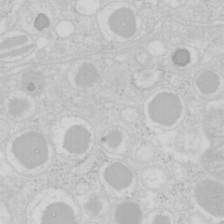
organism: Mouse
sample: Pancreas